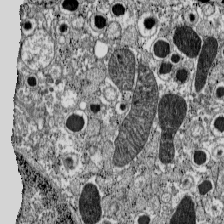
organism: C57BL Mouse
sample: Pancreatic islet